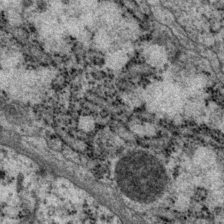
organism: P. pacificus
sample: Pharynx